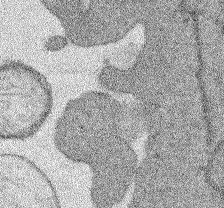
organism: Human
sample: HeLa cells